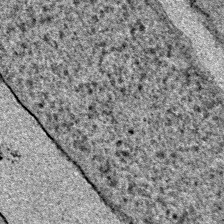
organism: E. coli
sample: E. Coli Bacteria